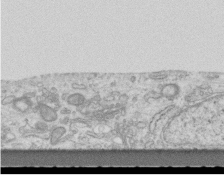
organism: Mouse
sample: Centriole in ependymal cells